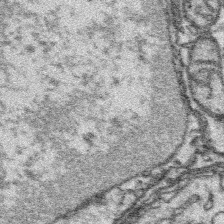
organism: Platynereis dumerilii